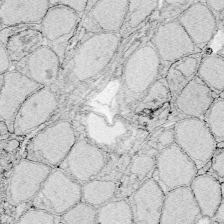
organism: Zebrafish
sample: Whole-Brain